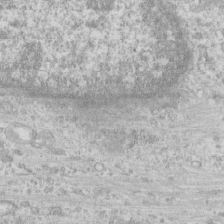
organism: Human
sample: CRL-1474